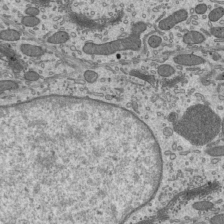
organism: Mouse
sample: Mouse epididymis efferent ductule cilia